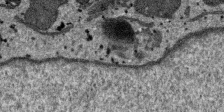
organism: Human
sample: Lung epithelial cells, uninfected (mock) control